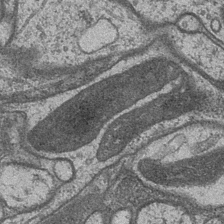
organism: Drosophila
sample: Optic medulla